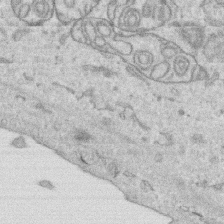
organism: Human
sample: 1205lu cells